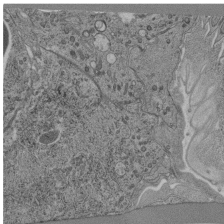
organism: C. elegans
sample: C. elegans pharynx